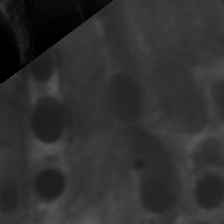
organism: C. elegans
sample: Pharynx